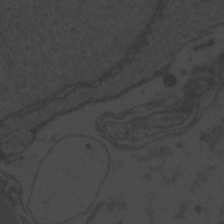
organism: Zebrafish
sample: Macrophage infected with Toxoplasma gondii